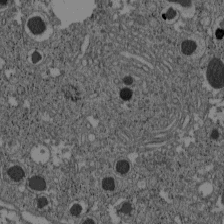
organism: C57BL Mouse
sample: Pancreatic islet